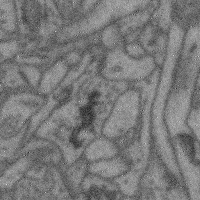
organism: Mouse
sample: Cerebral cortex